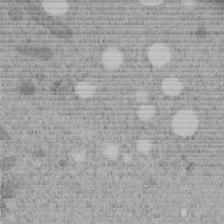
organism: C. elegans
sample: C. elegans embryo early stage